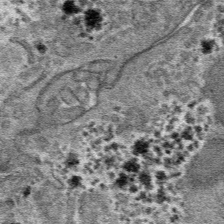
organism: Mouse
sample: Mouse hepatocytes